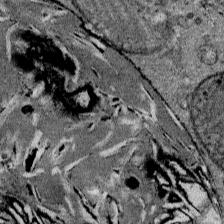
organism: Mouse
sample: Mouse Salivary gland